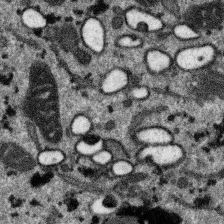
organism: Human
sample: Lung epithelial cells infected with SARS-CoV-2